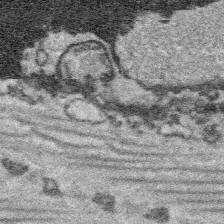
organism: Platynereis dumerilii